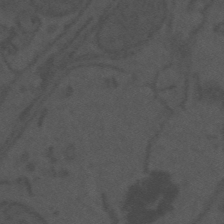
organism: Mouse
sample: Suprachiasmatic nucleus